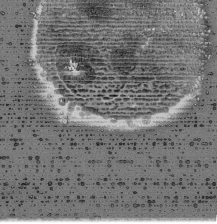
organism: Mouse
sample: Activated Pmel transgenic CD8+ T Cells